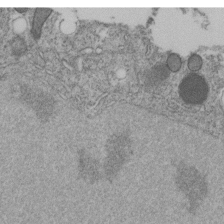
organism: C. elegans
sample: C. elegans embryo early stage